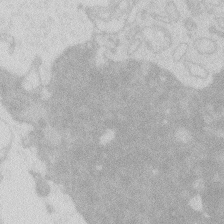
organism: Zebrafish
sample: Macrophage